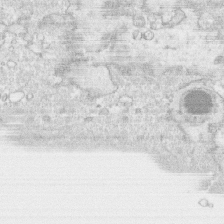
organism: Human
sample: CRL-1474